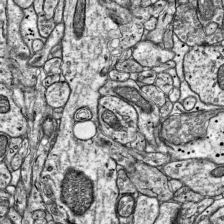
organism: Mouse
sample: Visual Cortex